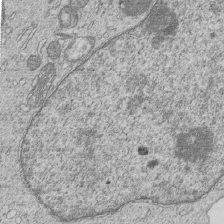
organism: Human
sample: MDA-MB-231 cells